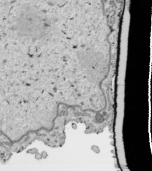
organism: Human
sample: Mitochondria in HCT116 cells